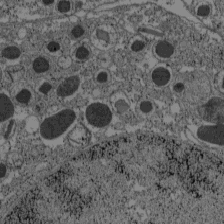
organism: C57BL Mouse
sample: Pancreatic islet